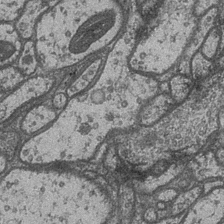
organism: Drosophila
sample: Optic medulla